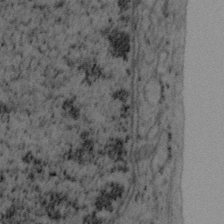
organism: Human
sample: HeLa cells